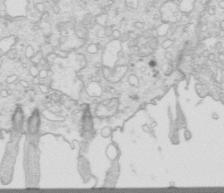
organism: Mouse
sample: Multiciliated cells